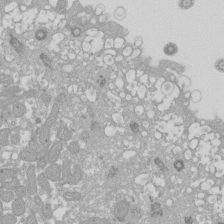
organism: Xenopus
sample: Cilia; centrioles in frog embryo cells